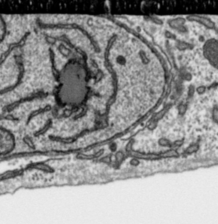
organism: Toxoplasma gondii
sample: Parasites in a vacuole inside a host cell